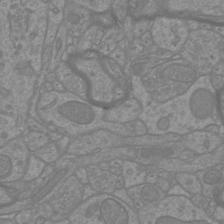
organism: Mouse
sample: Cortical neurons